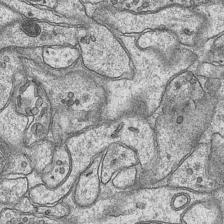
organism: Mouse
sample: CA1 Hippocampus